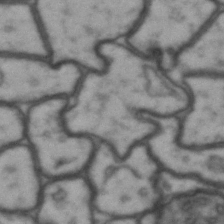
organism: Drosophila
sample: Brain